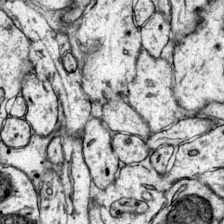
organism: Mouse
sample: Primary visual cortex